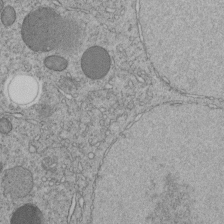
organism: C. elegans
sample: C. elegans embryo early stage